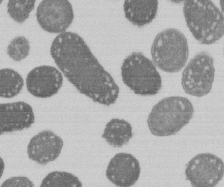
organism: E. coli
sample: Bacterial nucleoid